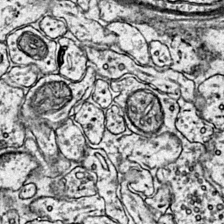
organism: Mouse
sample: Primary visual cortex